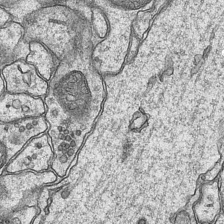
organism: Mouse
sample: CA1 Hippocampus